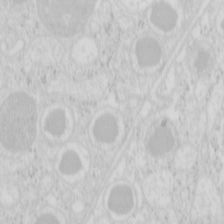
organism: Mouse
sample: Pancreas